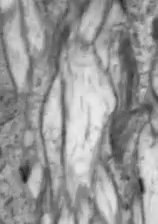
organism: Drosophila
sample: Optic lobe